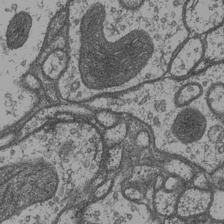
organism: Drosophila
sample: Optic medulla